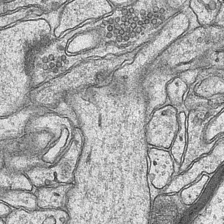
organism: Mouse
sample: CA1 Hippocampus